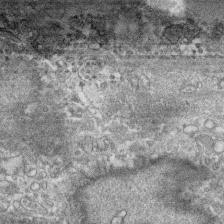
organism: Human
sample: CRL-1474